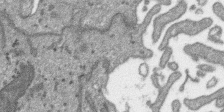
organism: Human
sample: Lung epithelial cells infected with SARS-CoV-2